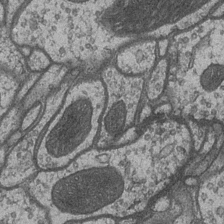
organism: Drosophila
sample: Optic medulla